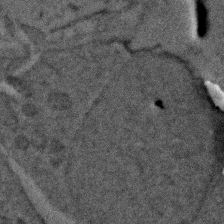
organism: Zebrafish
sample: Zebrafish embryo